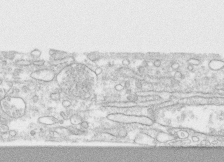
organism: Human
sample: CRL-1474